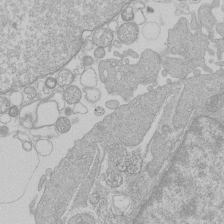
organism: Human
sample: Macrophage cells